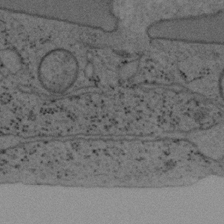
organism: Human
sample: HeLa cells